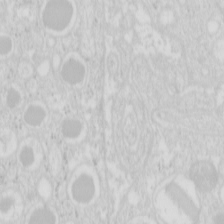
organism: Mouse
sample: Pancreas